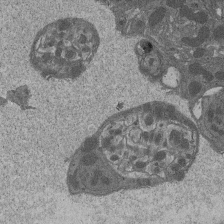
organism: Drosophila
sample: Antenna